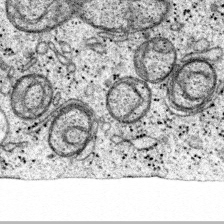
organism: Human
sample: HeLa cells